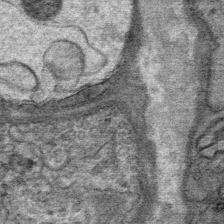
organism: Mouse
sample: Mouse Salivary gland